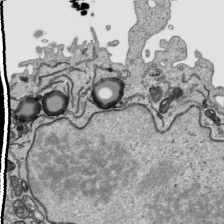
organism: Human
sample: Mitochondria in HCT116 cells